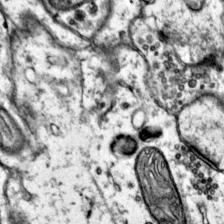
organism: Mouse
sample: Primary visual cortex